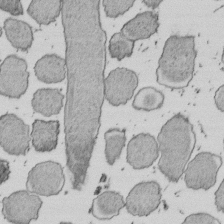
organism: E. coli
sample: Bacterial nucleoid